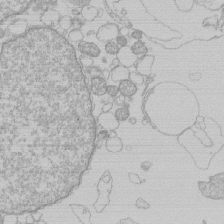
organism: Human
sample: Macrophage cells